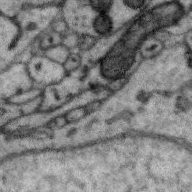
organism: Zebra finch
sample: Brain